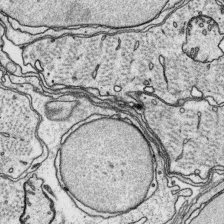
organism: Platynereis dumerilii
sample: Parapodia